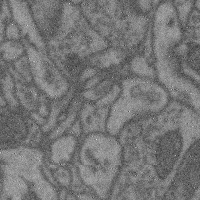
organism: Mouse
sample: Cerebral cortex